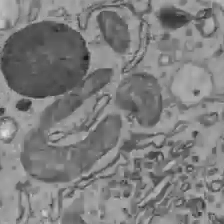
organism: C57BL Mouse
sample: Liver